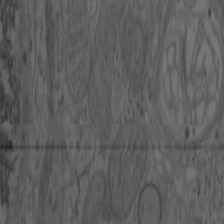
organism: Human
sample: HeLa cells